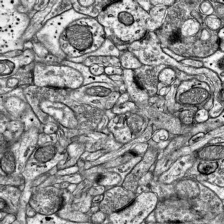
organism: Mouse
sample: Visual Cortex